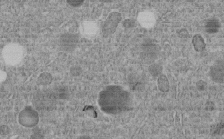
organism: C. elegans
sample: C. elegans embryo early stage